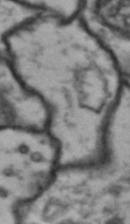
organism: Drosophila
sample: Brain